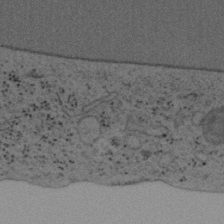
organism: Human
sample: HeLa cells